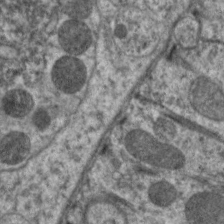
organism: C. elegans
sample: Pharynx